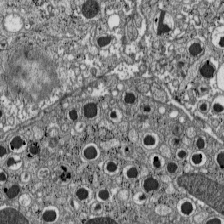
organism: C57BL Mouse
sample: Pancreatic islet